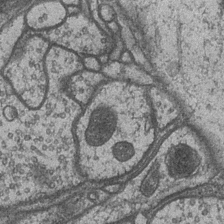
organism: Drosophila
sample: Optic medulla